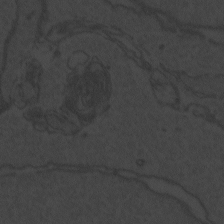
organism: Zebrafish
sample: Macrophage infected with Toxoplasma gondii